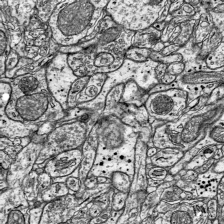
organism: Mouse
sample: Visual Cortex